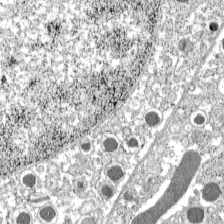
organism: C57BL Mouse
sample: Pancreatic islet